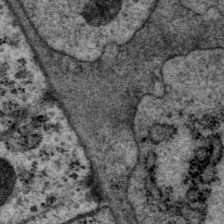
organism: P. pacificus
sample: Pharynx